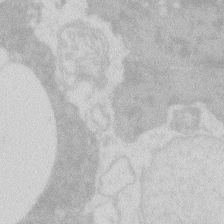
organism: Zebrafish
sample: Macrophage